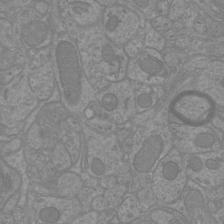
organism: Mouse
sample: Cortical neurons